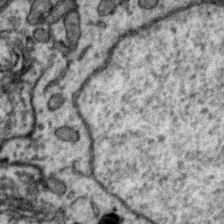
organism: Zebra finch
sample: Brain